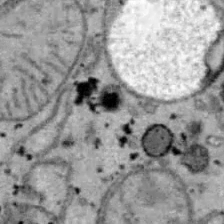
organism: Mouse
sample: Liver from an obese (ob/ob) mouse